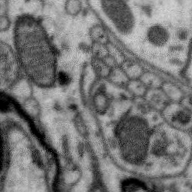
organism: Zebra finch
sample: Brain